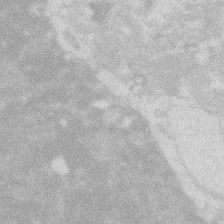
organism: Zebrafish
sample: Macrophage